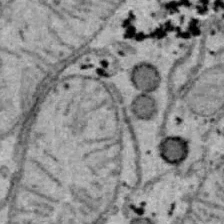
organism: Mouse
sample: Liver from an obese (ob/ob) mouse